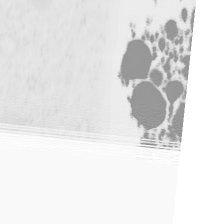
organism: Human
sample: THP-1 cells